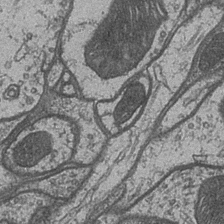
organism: Drosophila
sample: Optic medulla